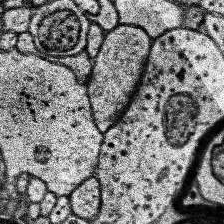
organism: Human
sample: Temporal Lobe